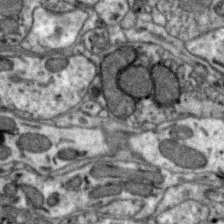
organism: Zebra finch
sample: Brain